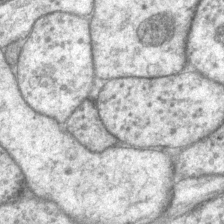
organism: P. pacificus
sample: Pharynx